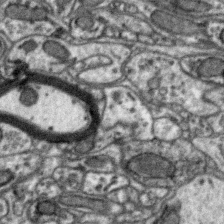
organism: Zebra finch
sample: Brain